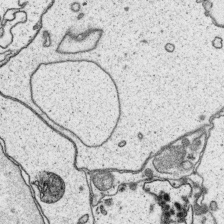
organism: Platynereis dumerilii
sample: Parapodia